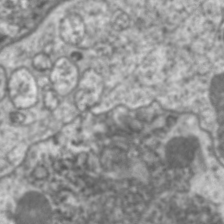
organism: C. elegans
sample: Pharynx